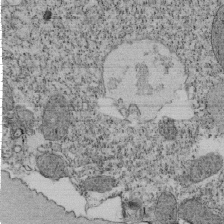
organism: Tetrahymena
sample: Cilia in tetrahymena